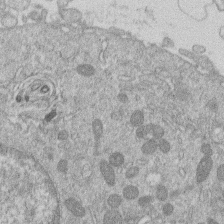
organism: Human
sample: Macrophage cells